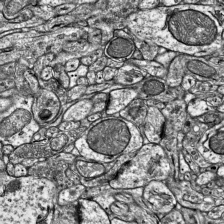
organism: Mouse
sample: Visual Cortex